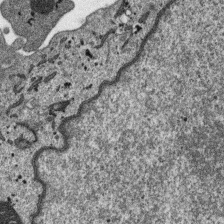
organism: Human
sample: Lung epithelial cells infected with SARS-CoV-2